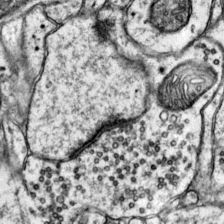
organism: Mouse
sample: Primary visual cortex